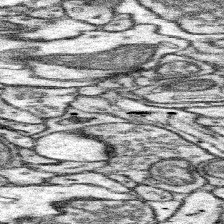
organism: Mouse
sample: Somatosensory cortex neuropil